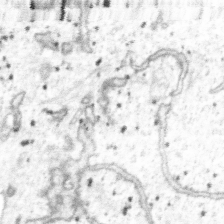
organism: Human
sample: HeLa cells